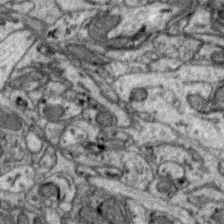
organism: Zebra finch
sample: Brain